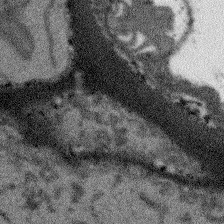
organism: Arabidopsis thaliana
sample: Root tip